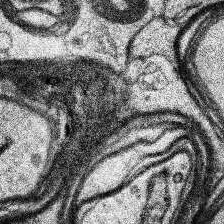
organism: Human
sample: Temporal Lobe